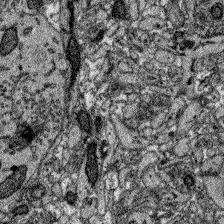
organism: Zebrafish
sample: Larval olfactory bulb